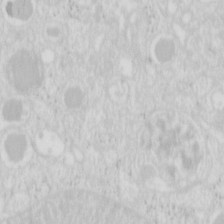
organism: Mouse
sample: Pancreas